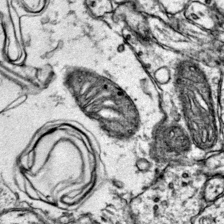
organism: Mouse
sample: Primary visual cortex